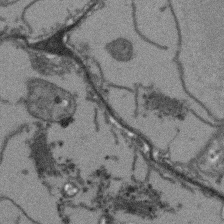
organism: Arabidopsis thaliana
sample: Root tip